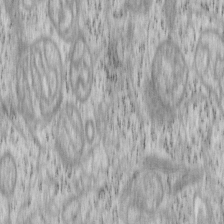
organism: Human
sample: HeLa cells